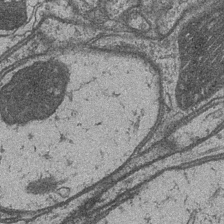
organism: Drosophila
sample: Optic medulla